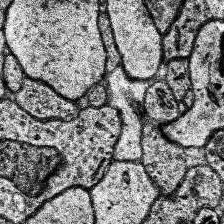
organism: Human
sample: Temporal Lobe